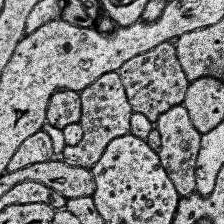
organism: Human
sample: Temporal Lobe